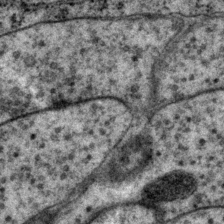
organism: P. pacificus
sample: Pharynx